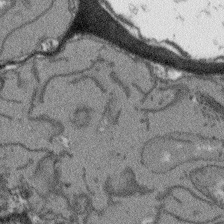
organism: Arabidopsis thaliana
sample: Root tip